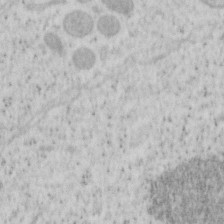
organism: Human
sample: HeLa cells